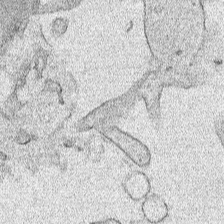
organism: Human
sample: Mitochondria in HCT116 cells